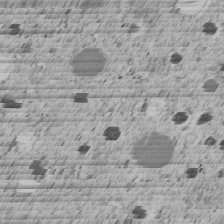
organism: C. elegans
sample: C. elegans embryo early stage